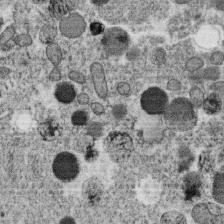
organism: C. elegans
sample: C. elegans oocyte; sperm cells